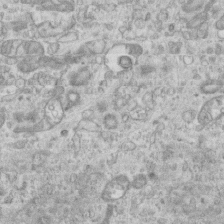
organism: Mouse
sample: Centriole in ependymal cells